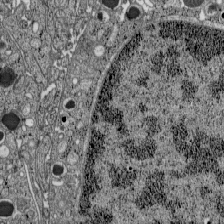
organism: C57BL Mouse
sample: Pancreatic islet